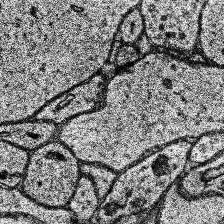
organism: Human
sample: Temporal Lobe